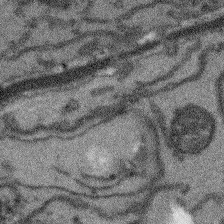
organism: Arabidopsis thaliana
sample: Root tip